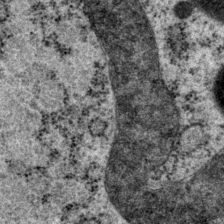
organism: P. pacificus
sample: Pharynx